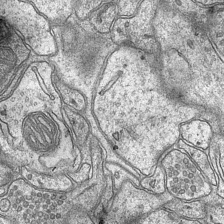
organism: Mouse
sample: CA1 Hippocampus